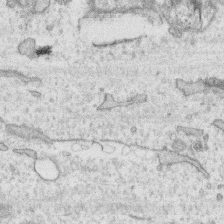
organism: Human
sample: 1205lu cells